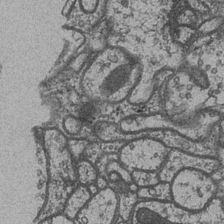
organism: Drosophila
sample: Optic medulla